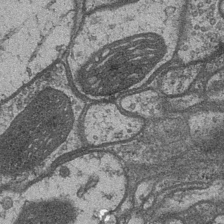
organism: Drosophila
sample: Optic medulla